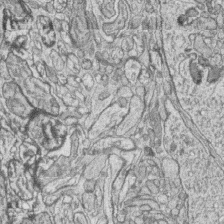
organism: Zebrafish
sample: synaptic ribbons in rod cells and cone cells